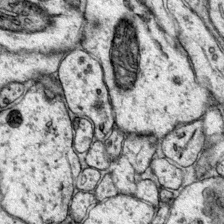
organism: Mouse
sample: Primary visual cortex